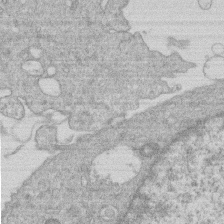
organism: Human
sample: Macrophage cells